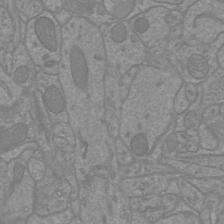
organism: Mouse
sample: Cortical neurons